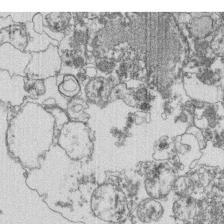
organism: Human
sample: HeLa cell HIV synapse